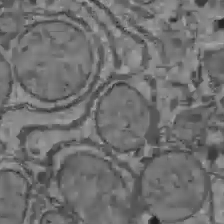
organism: C57BL Mouse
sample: Liver